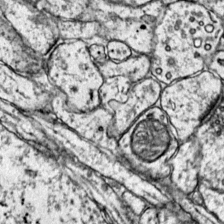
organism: Mouse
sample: Primary visual cortex